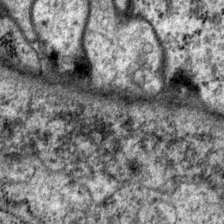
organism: P. pacificus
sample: Pharynx